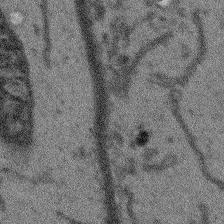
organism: Arabidopsis thaliana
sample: Root tip